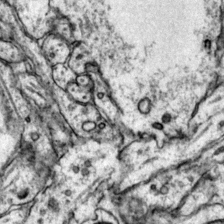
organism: Mouse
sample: Primary visual cortex